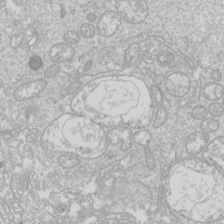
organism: Drosophila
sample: Cell division; meiosis; drosophila spermatocytes